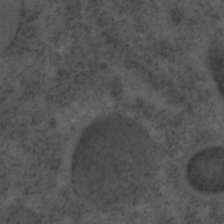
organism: C. elegans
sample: C. elegans embryo